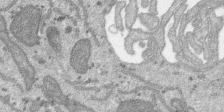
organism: Human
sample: Lung epithelial cells infected with SARS-CoV-2